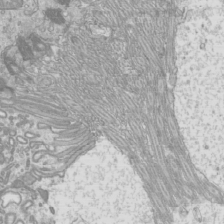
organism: Mouse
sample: Cilia; mouse epididymis